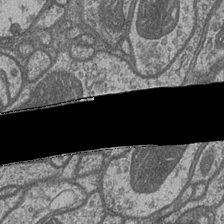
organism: Drosophila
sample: Optic medulla